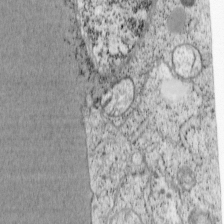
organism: African green monkey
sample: COS-7 cells